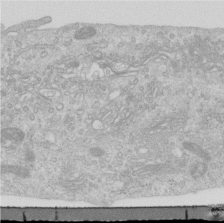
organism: Human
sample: Centriole in RPE cells